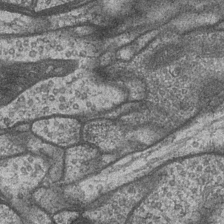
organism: Drosophila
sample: Optic medulla